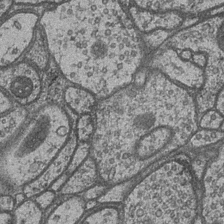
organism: Drosophila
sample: Optic medulla